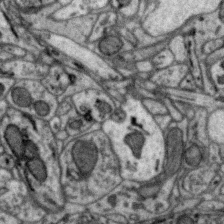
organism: Zebra finch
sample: Brain